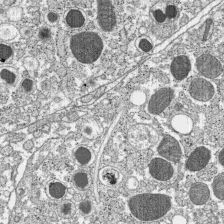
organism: C57BL Mouse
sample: Pancreatic islet